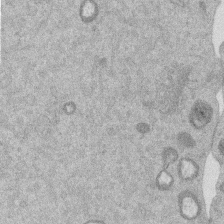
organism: Mouse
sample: Dividing mouse embryo 1 cell stage